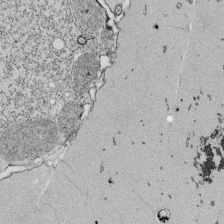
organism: Tetrahymena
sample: Cilia in tetrahymena